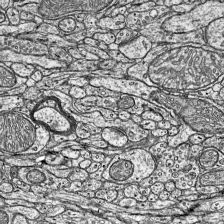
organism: Mouse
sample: Visual Cortex